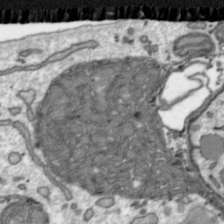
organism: Toxoplasma gondii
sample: Parasites in a vacuole inside a host cell